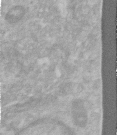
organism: Human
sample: Centriole in RPE cells